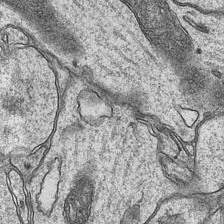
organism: Mouse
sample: CA1 Hippocampus